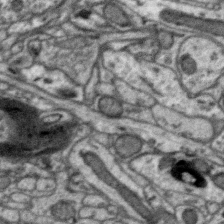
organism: Zebra finch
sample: Brain